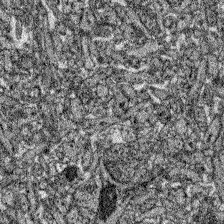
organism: Zebrafish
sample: Larval olfactory bulb